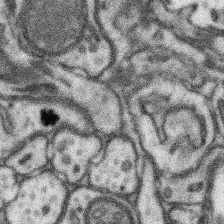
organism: Mouse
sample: Somatosensory cortex neuropil